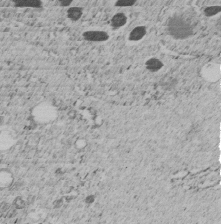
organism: C. elegans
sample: C. elegans embryo early stage